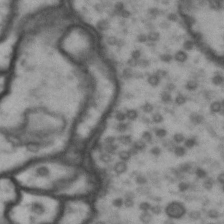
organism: Drosophila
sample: Brain